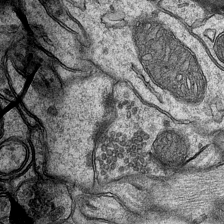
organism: Mouse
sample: CA1 Hippocampus